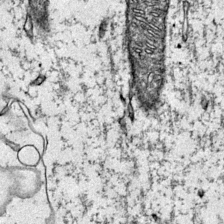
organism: Mouse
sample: Primary visual cortex